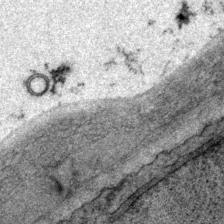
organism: P. pacificus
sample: Pharynx